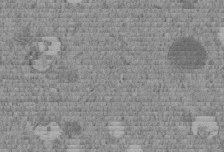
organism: C. elegans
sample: C. elegans embryo early stage